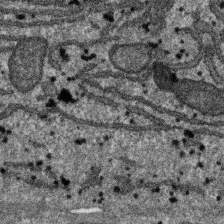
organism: Human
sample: Lung epithelial cells infected with SARS-CoV-2